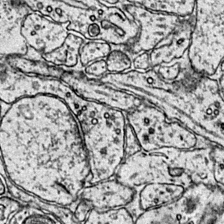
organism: Mouse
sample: Primary visual cortex